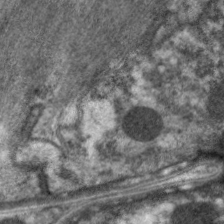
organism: C. elegans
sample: Pharynx